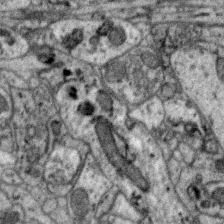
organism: Zebra finch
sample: Brain